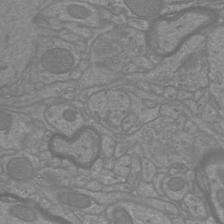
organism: Mouse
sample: Cortical neurons